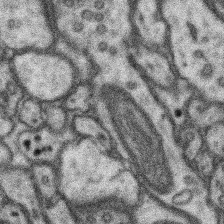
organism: Mouse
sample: Somatosensory cortex neuropil